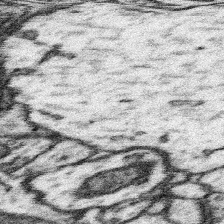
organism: Mouse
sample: Somatosensory cortex neuropil